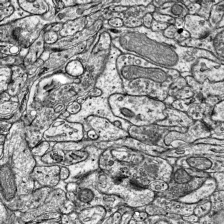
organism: Mouse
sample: Visual Cortex